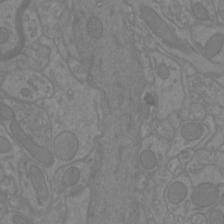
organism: Mouse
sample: Cortical neurons